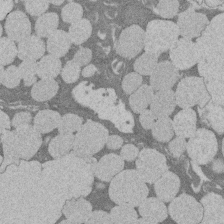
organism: Rat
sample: Salivary granule